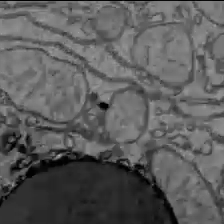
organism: C57BL Mouse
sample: Liver